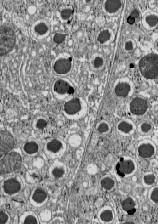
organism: C57BL Mouse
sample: Pancreatic islet